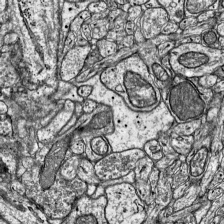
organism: Mouse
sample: Visual Cortex